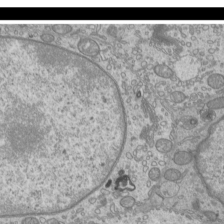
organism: Mouse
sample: Cilia; mouse epididymis